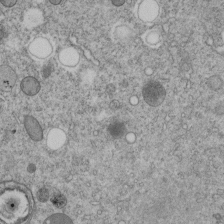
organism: C. elegans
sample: C. elegans embryo early stage